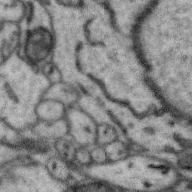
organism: Zebra finch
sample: Brain